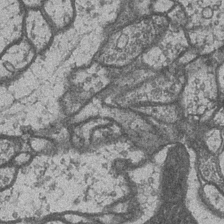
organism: Drosophila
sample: Optic medulla